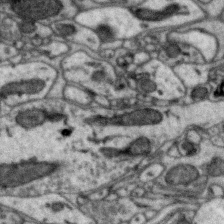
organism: Zebra finch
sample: Brain